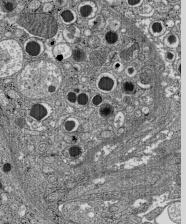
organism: C57BL Mouse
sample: Pancreatic islet